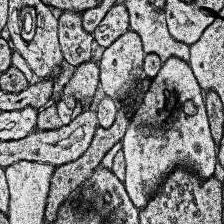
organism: Human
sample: Temporal Lobe